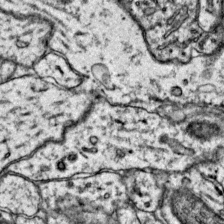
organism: Mouse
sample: Primary visual cortex